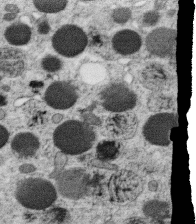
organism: C. elegans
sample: C. elegans oocyte; sperm cells